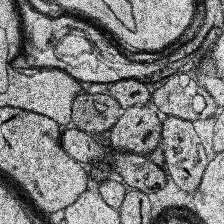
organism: Human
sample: Temporal Lobe